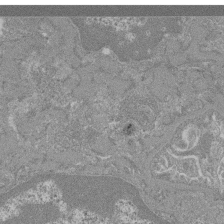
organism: Mouse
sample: Glomerulus